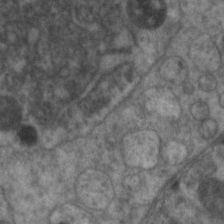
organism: C. elegans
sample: Pharynx